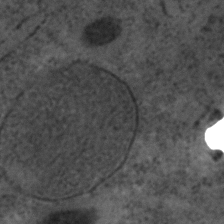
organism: C. elegans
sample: C. elegans embryo